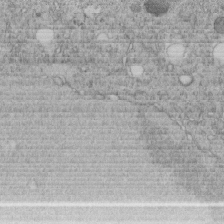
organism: C. elegans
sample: C. elegans embryo early stage